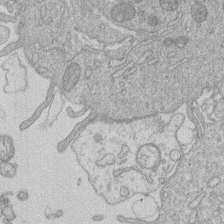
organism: Human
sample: Macrophage cells